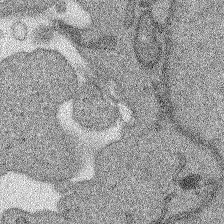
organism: Human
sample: HeLa cells